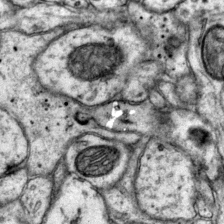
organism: Mouse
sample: Primary visual cortex